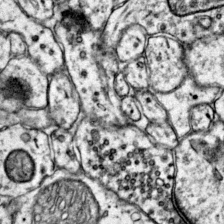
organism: Mouse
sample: Primary visual cortex